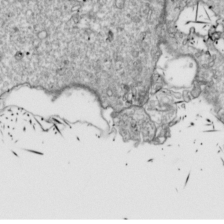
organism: Drosophila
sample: Cell division; meiosis; drosophila spermatocytes